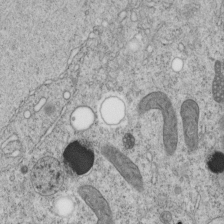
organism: C. elegans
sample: C. elegans embryo early stage